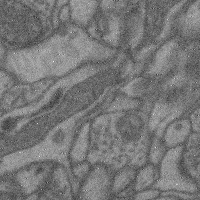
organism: Mouse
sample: Cerebral cortex